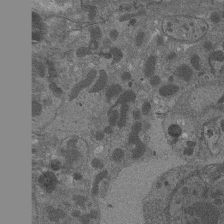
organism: Drosophila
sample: Antenna